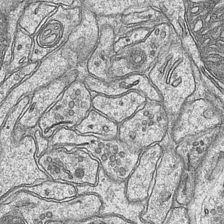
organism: Mouse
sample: CA1 Hippocampus